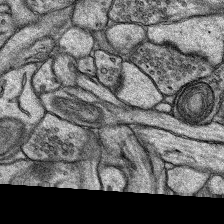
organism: Rat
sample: Hippocampus